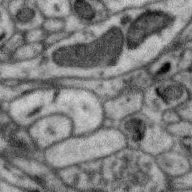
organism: Zebra finch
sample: Brain